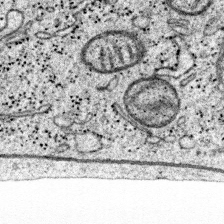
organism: Human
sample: HeLa cells